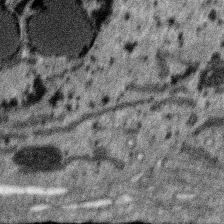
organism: Human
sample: Lung epithelial cells infected with SARS-CoV-2